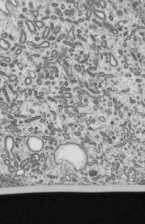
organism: Mouse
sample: Mouse epididymis efferent ductule cilia